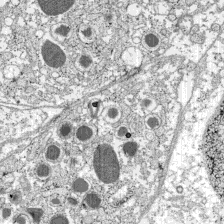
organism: C57BL Mouse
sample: Pancreatic islet